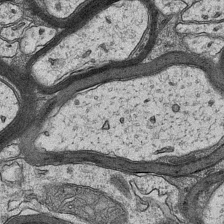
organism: Mouse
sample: CA1 Hippocampus